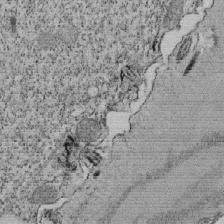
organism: Tetrahymena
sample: Cilia in tetrahymena